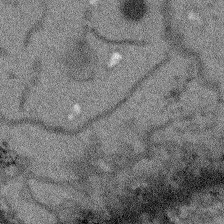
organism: Arabidopsis thaliana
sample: Root tip